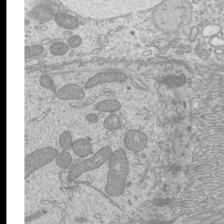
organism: Mouse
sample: Cilia; mouse epididymis